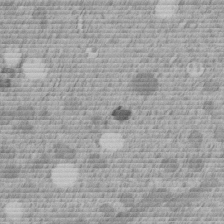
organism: C. elegans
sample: C. elegans embryo early stage